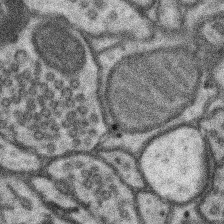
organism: Mouse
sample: Somatosensory cortex neuropil